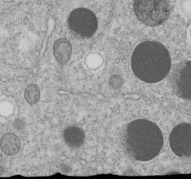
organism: C. elegans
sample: C. elegans embryo early stage